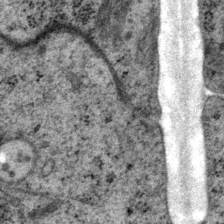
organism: P. pacificus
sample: Pharynx